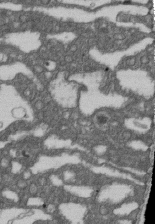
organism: Drosophila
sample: Nephrocyte